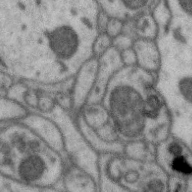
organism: Zebra finch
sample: Brain